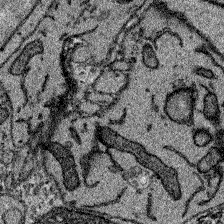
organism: Zebrafish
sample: Larval olfactory bulb